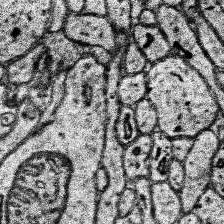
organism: Human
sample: Temporal Lobe